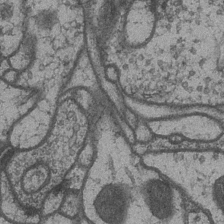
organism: Drosophila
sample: Optic medulla